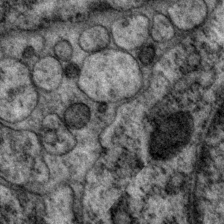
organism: P. pacificus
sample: Pharynx